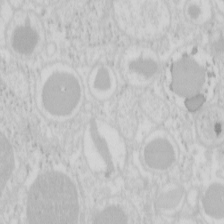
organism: Mouse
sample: Pancreas